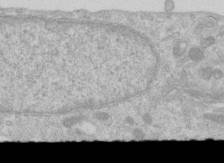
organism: Human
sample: Centriole in RPE cells